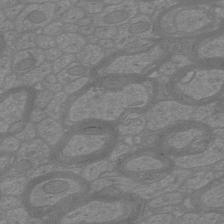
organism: Mouse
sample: Cortical neurons